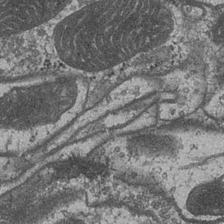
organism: Drosophila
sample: Optic medulla